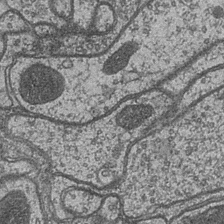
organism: Drosophila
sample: Optic medulla